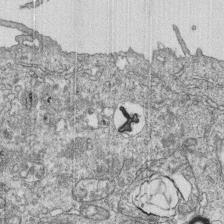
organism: Human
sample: HeLa cell HIV synapse